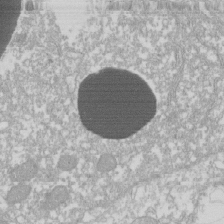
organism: Xenopus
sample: Cilia; centrioles in frog embryo cells